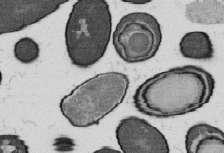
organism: B. subtilis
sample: Bacterial spore